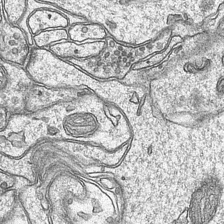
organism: Mouse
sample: CA1 Hippocampus